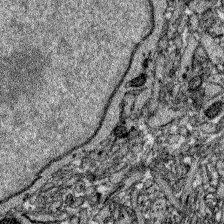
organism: Zebrafish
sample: Larval olfactory bulb